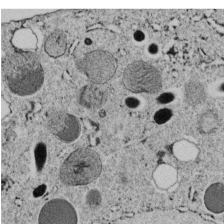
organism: C. elegans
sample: C. elegans embryo early stage